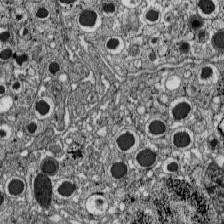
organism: C57BL Mouse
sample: Pancreatic islet